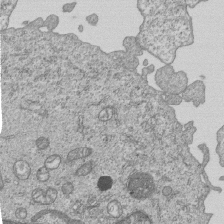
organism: Human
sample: MDA-MB-231 cells